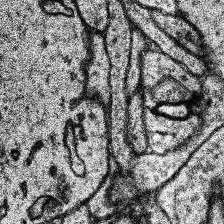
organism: Human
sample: Temporal Lobe